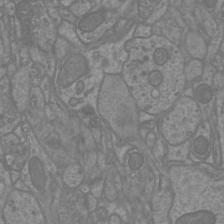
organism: Mouse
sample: Cortical neurons